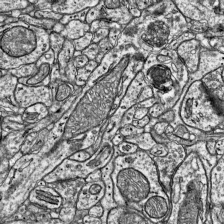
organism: Mouse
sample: Visual Cortex